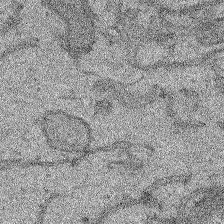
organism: Human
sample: HeLa cells